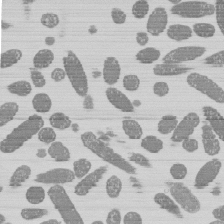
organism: E. coli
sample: Bacterial nucleoid